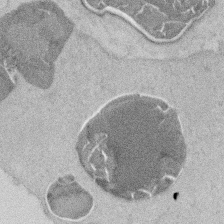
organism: Mouse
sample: T cell stromal cell synapse